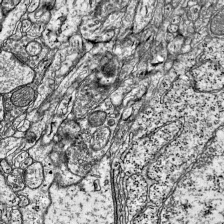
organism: Mouse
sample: Visual Cortex